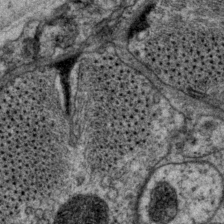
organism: P. pacificus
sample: Pharynx